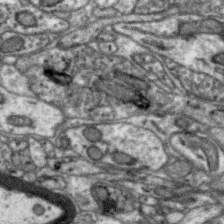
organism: Zebra finch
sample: Brain